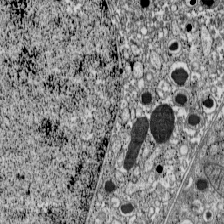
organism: C57BL Mouse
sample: Pancreatic islet